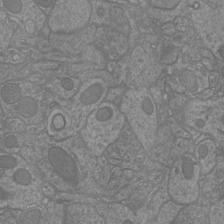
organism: Mouse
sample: Cortical neurons